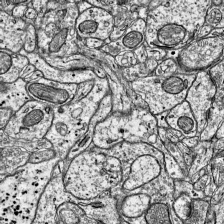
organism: Mouse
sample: Visual Cortex